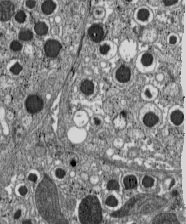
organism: C57BL Mouse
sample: Pancreatic islet